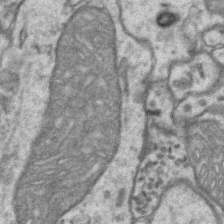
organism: Mouse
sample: CA1 Hippocampus